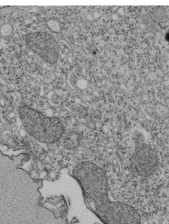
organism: Tetrahymena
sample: Cilia in tetrahymena